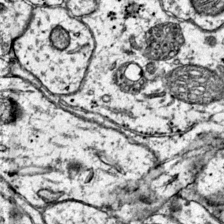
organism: Mouse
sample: Primary visual cortex